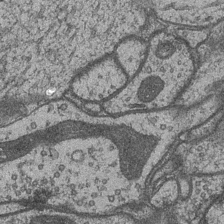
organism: Drosophila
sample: Optic medulla